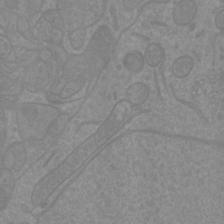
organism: Mouse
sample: Cortical neurons